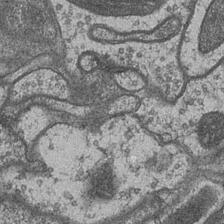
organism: Drosophila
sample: Optic medulla